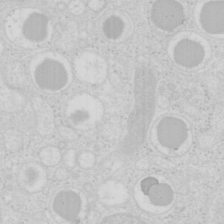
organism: Mouse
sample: Pancreas